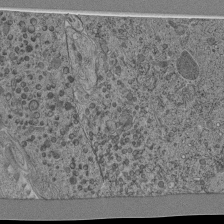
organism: C. elegans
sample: C. elegans pharynx